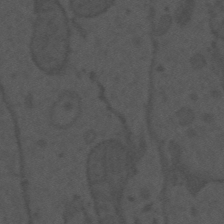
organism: Mouse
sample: Suprachiasmatic nucleus